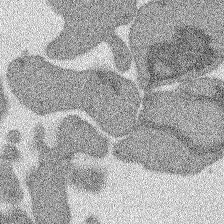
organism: Human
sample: HeLa cells